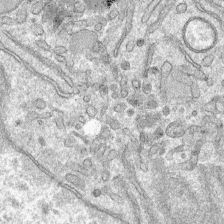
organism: Mouse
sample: Mouse hepatocytes